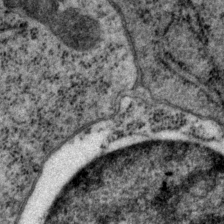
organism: P. pacificus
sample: Pharynx